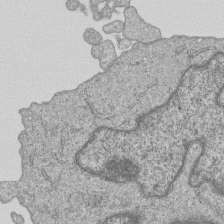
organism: Human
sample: MDA-MB-231 cells